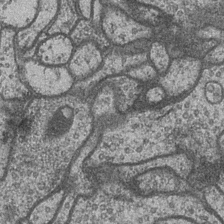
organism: Drosophila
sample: Optic medulla